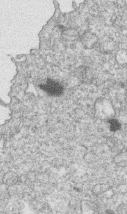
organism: Human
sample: HeLa cell HIV synapse